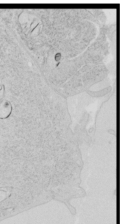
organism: Human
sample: Mitochondria in HCT116 cells